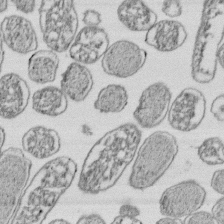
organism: E. coli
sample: Bacterial nucleoid